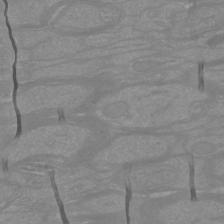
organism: Mouse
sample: Cortical neurons